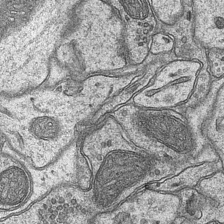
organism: Mouse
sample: CA1 Hippocampus